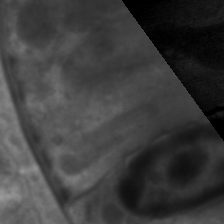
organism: C. elegans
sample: Pharynx